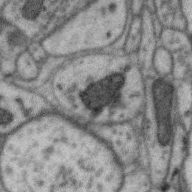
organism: Zebra finch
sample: Brain